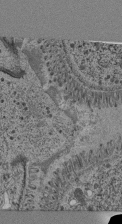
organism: C. elegans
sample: C. elegans pharynx